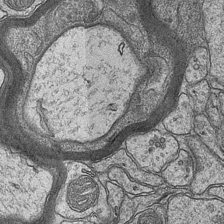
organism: Mouse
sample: CA1 Hippocampus